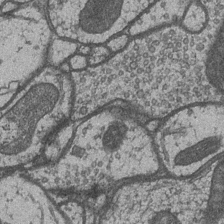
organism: Drosophila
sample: Optic medulla